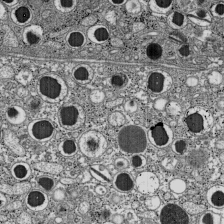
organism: C57BL Mouse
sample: Pancreatic islet